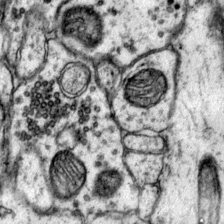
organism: Mouse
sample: Primary visual cortex